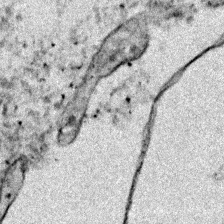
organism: Zebrafish